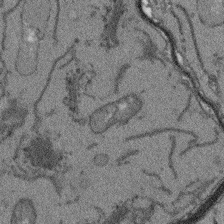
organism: Arabidopsis thaliana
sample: Root tip